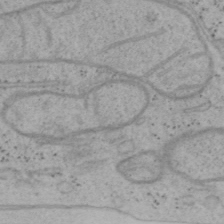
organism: Human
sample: HeLa cells